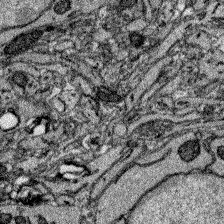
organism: Zebrafish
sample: Larval olfactory bulb